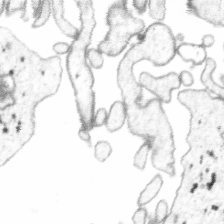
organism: Human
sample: HeLa cells